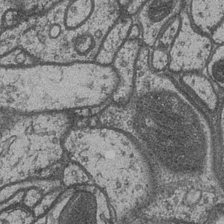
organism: Drosophila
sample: Optic medulla